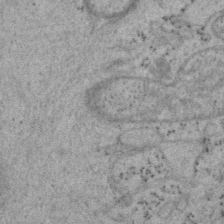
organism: Human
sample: HeLa cells